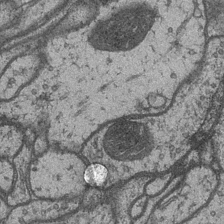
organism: Drosophila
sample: Optic medulla